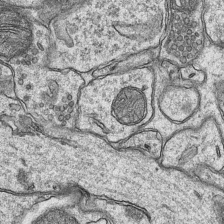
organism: Mouse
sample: CA1 Hippocampus